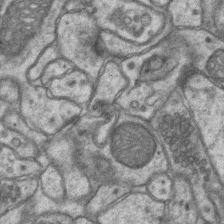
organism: Mouse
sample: CA1 Hippocampus